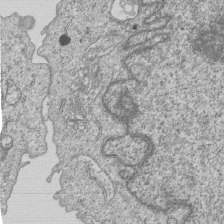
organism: Human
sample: MDA-MB-231 cells